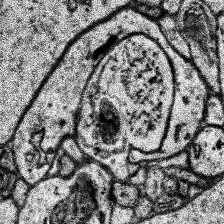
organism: Human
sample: Temporal Lobe